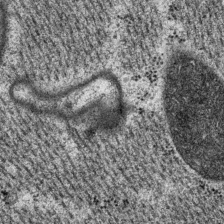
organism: P. pacificus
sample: Pharynx